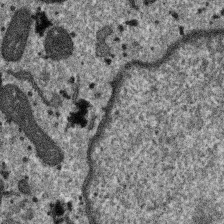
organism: Human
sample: Lung epithelial cells infected with SARS-CoV-2